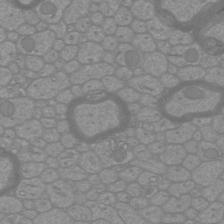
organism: Mouse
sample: Cortical neurons